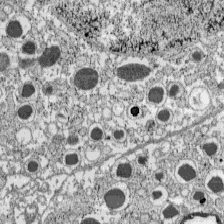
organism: C57BL Mouse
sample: Pancreatic islet